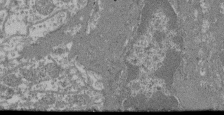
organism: Mouse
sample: Glomerulus